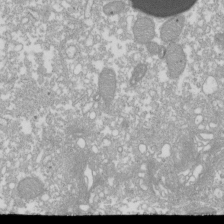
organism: Xenopus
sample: Cilia; centrioles in frog embryo cells